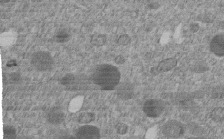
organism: C. elegans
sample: C. elegans embryo early stage